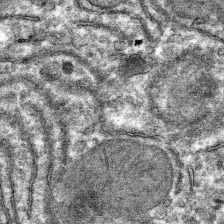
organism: Mouse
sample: Mouse hepatocytes